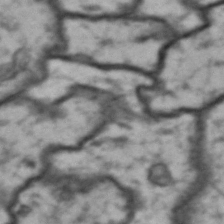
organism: Drosophila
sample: Brain